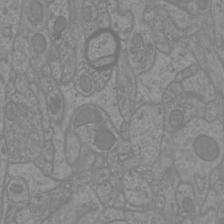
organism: Mouse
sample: Cortical neurons